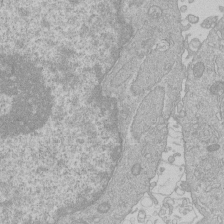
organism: Human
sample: Macrophage cells